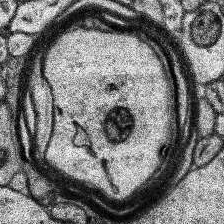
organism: Human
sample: Temporal Lobe